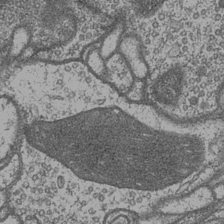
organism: Drosophila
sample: Optic medulla